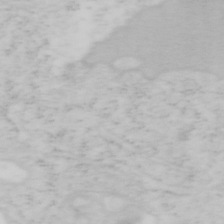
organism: Mouse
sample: OT-I killer T cells with ID8 ovarian cancer cells